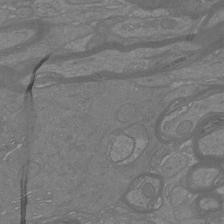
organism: Mouse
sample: Cortical neurons